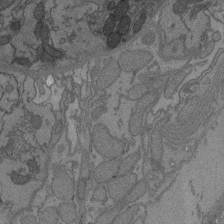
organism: C. elegans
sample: AFD neurons C. elegans